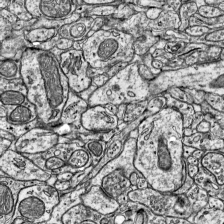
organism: Mouse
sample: Visual Cortex